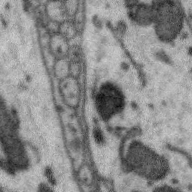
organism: Zebra finch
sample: Brain